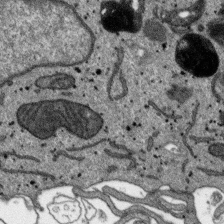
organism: Human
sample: Lung epithelial cells, uninfected (mock) control